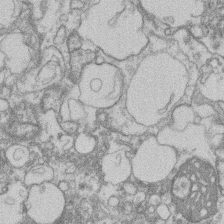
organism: Mouse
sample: T cell stromal cell synapse